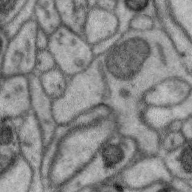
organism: Zebra finch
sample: Brain